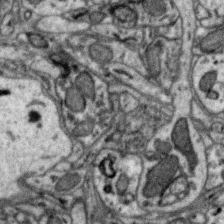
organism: Zebra finch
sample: Brain